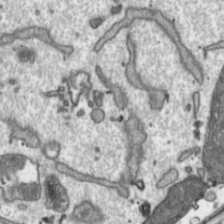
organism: Toxoplasma gondii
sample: Parasites in a vacuole inside a host cell